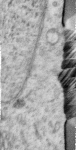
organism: Human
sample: Centriole in RPE cells